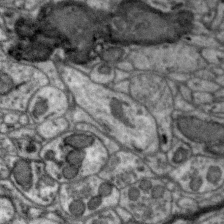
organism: Zebra finch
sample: Brain